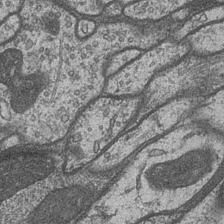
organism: Drosophila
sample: Optic medulla